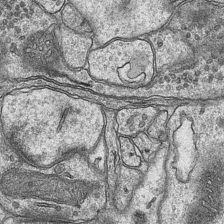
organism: Mouse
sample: CA1 Hippocampus